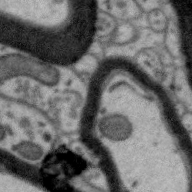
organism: Zebra finch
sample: Brain